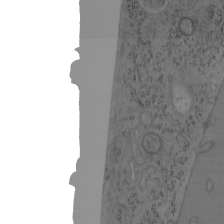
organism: Mouse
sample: OT-I killer T cells with ID8 ovarian cancer cells